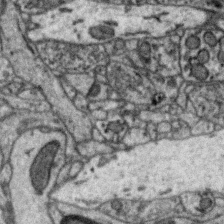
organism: Zebra finch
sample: Brain